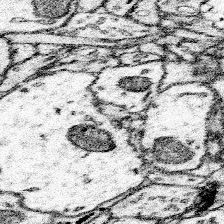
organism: Mouse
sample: Somatosensory cortex neuropil